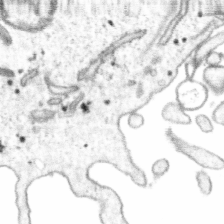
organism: Human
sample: HeLa cells